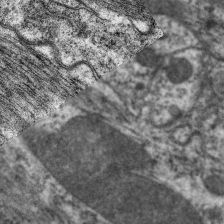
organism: C. elegans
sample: Pharynx